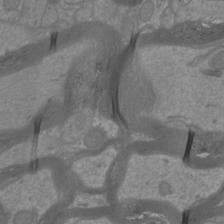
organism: Mouse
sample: Cortical neurons